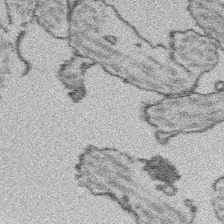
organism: Platynereis dumerilii